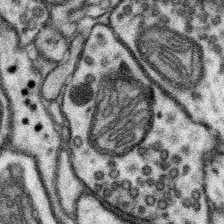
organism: Mouse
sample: Somatosensory cortex neuropil